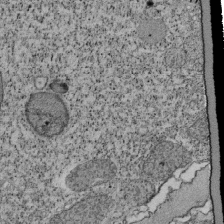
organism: Tetrahymena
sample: Cilia in tetrahymena